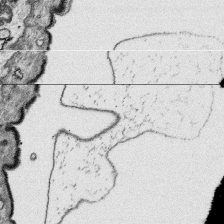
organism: Platynereis dumerilii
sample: Parapodia